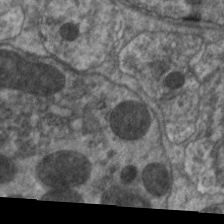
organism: C. elegans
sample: Pharynx